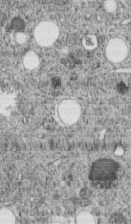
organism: C. elegans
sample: C. elegans embryo early stage